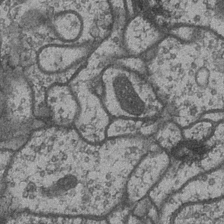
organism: Drosophila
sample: Optic medulla